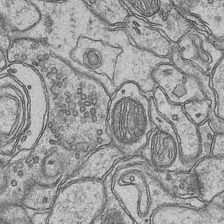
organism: Mouse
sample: CA1 Hippocampus